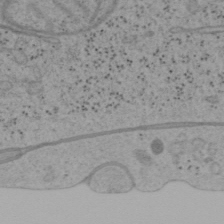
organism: Human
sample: HeLa cells